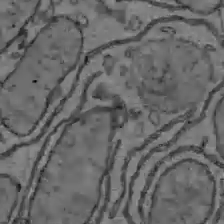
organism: C57BL Mouse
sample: Liver